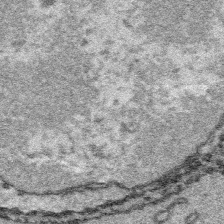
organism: Platynereis dumerilii